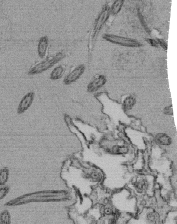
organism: Tetrahymena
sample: Cilia in tetrahymena